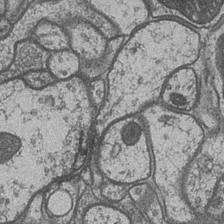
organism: Drosophila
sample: Optic medulla